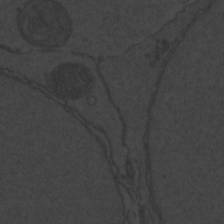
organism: Zebrafish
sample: Macrophage infected with Toxoplasma gondii